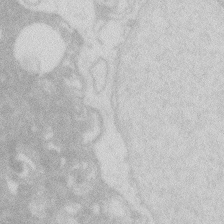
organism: Zebrafish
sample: Macrophage